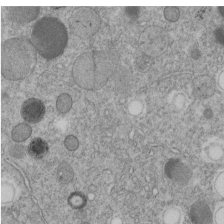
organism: C. elegans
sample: C. elegans embryo early stage